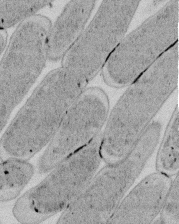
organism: E. coli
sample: Bacterial nucleoid